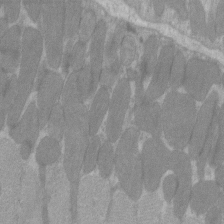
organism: C57BL Mouse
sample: Tibialis anterior muscle cell